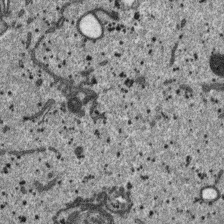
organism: Human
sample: Lung epithelial cells infected with SARS-CoV-2